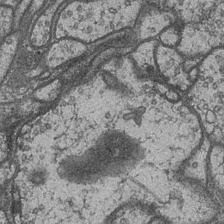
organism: Drosophila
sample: Optic medulla